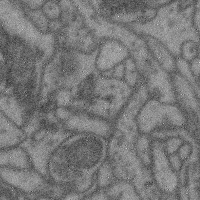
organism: Mouse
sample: Cerebral cortex